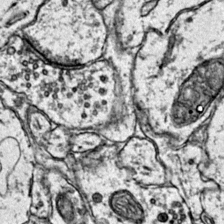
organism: Mouse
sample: Primary visual cortex